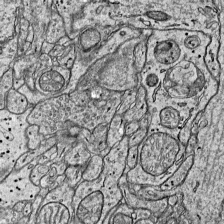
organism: Mouse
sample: Visual Cortex